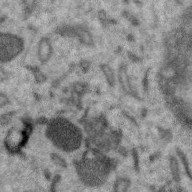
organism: Zebra finch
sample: Brain